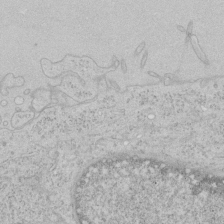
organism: Human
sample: Mitochondria in HCT116 cells